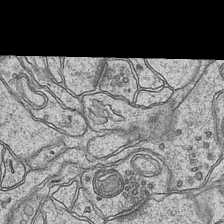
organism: Mouse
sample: CA1 Hippocampus